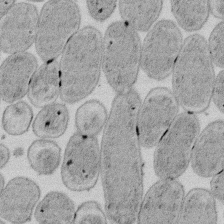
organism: E. coli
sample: Bacterial nucleoid